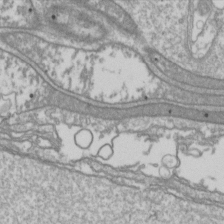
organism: Drosophila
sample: Cell division; meiosis; drosophila spermatocytes